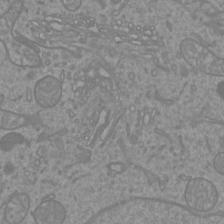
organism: Mouse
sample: Cortical neurons